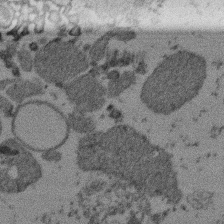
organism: Mouse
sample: Dividing mouse embryo 1 cell stage